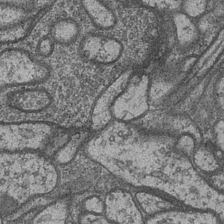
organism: Drosophila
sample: Optic medulla